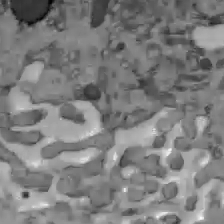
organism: C57BL Mouse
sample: Liver